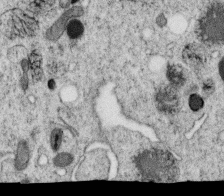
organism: C. elegans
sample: C. elegans oocyte; sperm cells